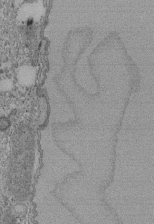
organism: Tetrahymena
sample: Cilia in tetrahymena